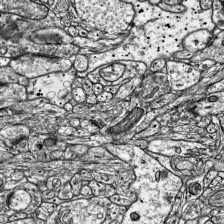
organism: Mouse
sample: Visual Cortex